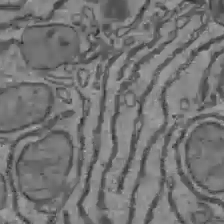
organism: C57BL Mouse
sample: Liver